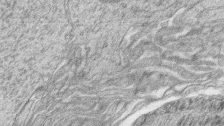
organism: Zebrafish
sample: synaptic ribbons in rod cells and cone cells